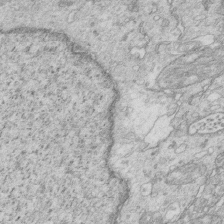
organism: Mouse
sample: Multiciliated cells